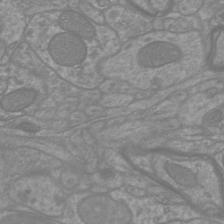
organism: Mouse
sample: Cortical neurons